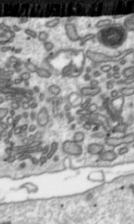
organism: Toxoplasma gondii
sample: Parasites in a vacuole inside a host cell